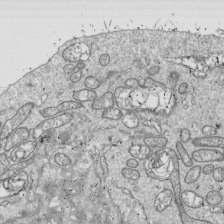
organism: Drosophila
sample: Cell division; meiosis; drosophila spermatocytes